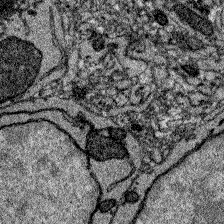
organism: Zebrafish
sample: Larval olfactory bulb